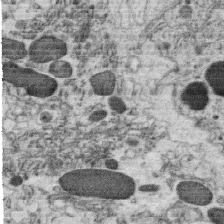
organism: C. elegans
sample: C. elegans oocyte; sperm cells